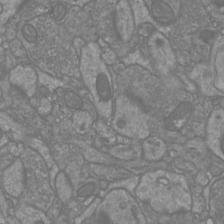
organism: Mouse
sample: Cortical neurons